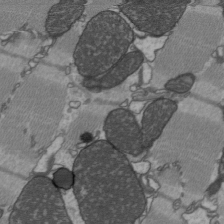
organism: C57BL Mouse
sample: Heart